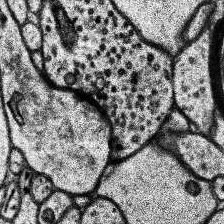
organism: Human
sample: Temporal Lobe